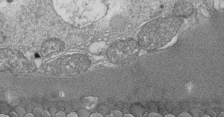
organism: Tetrahymena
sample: Cilia in tetrahymena